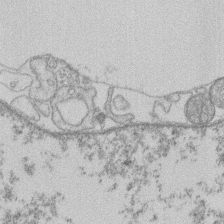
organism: Human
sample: Macrophage cells